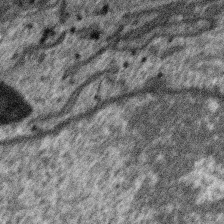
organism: Human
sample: Lung epithelial cells infected with SARS-CoV-2